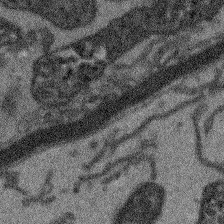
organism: Arabidopsis thaliana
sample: Root tip